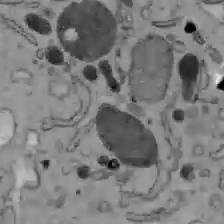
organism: C57BL Mouse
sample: Liver